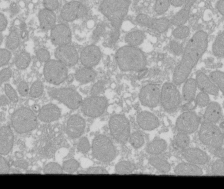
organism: Xenopus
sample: Cilia; centrioles in frog embryo cells